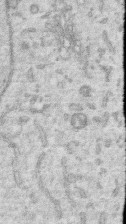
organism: Human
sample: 1205lu cells